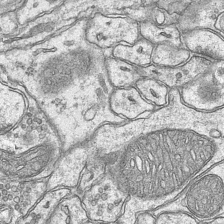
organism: Mouse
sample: CA1 Hippocampus